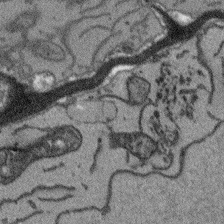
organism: Arabidopsis thaliana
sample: Root tip